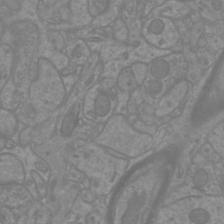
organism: Mouse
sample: Cortical neurons